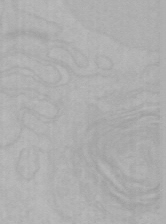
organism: Mouse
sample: Choroid plexus